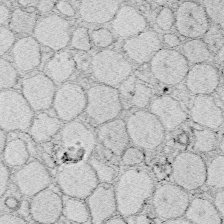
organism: Zebrafish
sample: Whole-Brain